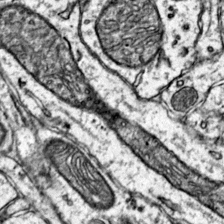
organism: Mouse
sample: Primary visual cortex